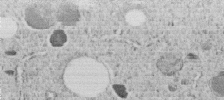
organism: C. elegans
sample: C. elegans embryo early stage